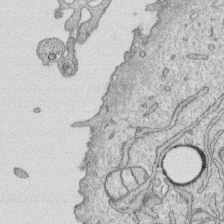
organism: Human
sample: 1205lu cells